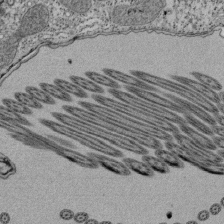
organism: Tetrahymena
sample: Cilia in tetrahymena